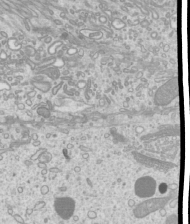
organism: Mouse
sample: Cilia; mouse epididymis